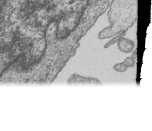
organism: Human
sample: MDA-MB-231 cells